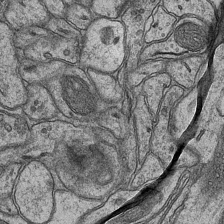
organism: Mouse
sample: CA1 Hippocampus